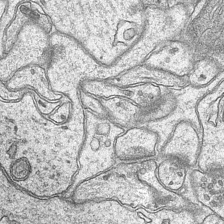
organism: Mouse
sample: CA1 Hippocampus